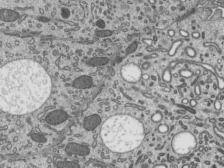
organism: Mouse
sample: Mouse epididymis efferent ductule cilia